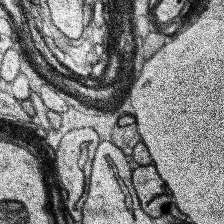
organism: Human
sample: Temporal Lobe